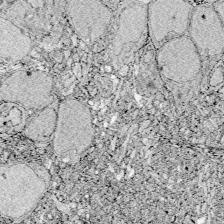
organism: Zebrafish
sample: Whole-Brain